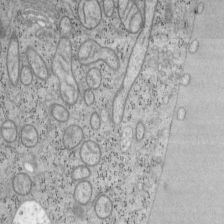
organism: Mouse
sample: OT-I killer T cells with ID8 ovarian cancer cells